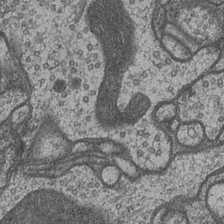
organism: Drosophila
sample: Optic medulla